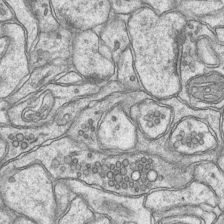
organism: Mouse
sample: CA1 Hippocampus